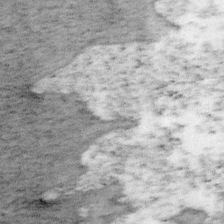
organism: Mouse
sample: OT-I killer T cells with ID8 ovarian cancer cells